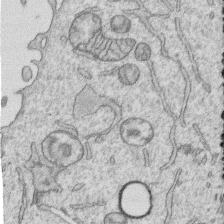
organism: Human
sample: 1205lu cells